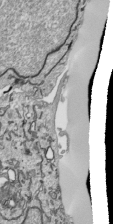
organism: Human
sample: Mitochondria in HCT116 cells